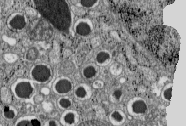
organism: C57BL Mouse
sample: Pancreatic islet